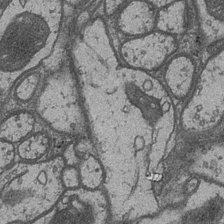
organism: Drosophila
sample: Optic medulla